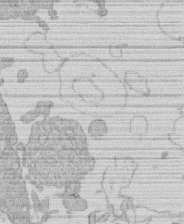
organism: Human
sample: Macrophage cells